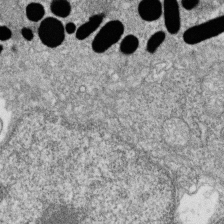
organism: Zebrafish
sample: Cilia; retinal pigment epithelium